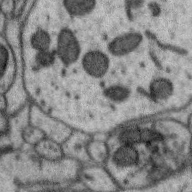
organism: Zebra finch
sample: Brain